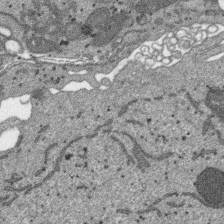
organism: Human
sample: Lung epithelial cells infected with SARS-CoV-2